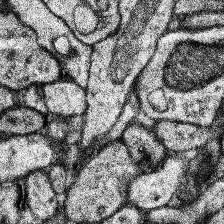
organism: Human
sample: Temporal Lobe